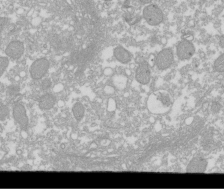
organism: Xenopus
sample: Cilia; centrioles in frog embryo cells